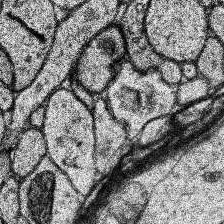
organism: Human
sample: Temporal Lobe